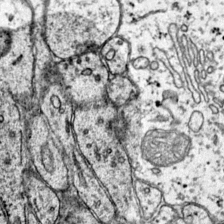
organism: Mouse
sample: Primary visual cortex